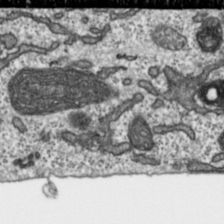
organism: Toxoplasma gondii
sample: Parasites in a vacuole inside a host cell